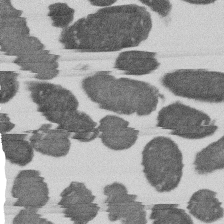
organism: E. coli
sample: Bacterial nucleoid